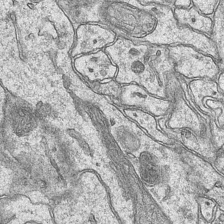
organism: Mouse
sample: CA1 Hippocampus